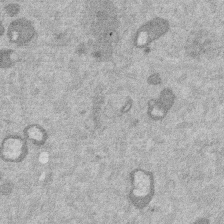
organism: Mouse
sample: Dividing mouse embryo 1 cell stage